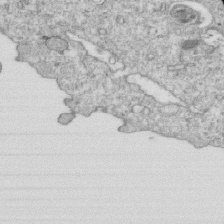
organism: Mouse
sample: Activated OT-1 CD8+ T cells